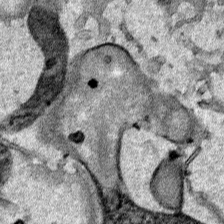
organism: Human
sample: Mitochondria in HCT116 cells